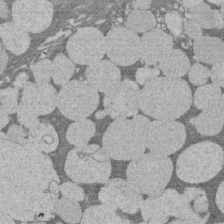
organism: Rat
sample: Salivary granule